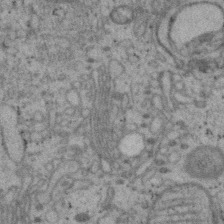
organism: Human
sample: HeLa cells